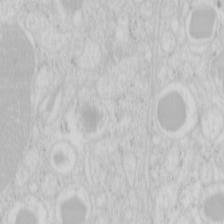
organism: Mouse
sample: Pancreas